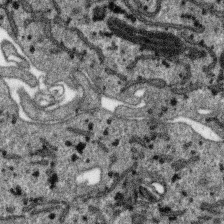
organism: Human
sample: Lung epithelial cells infected with SARS-CoV-2